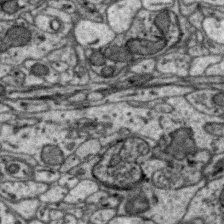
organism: Zebra finch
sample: Brain